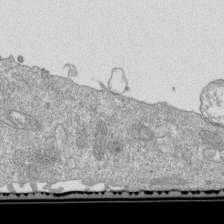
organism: Human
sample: HeLa cell HIV synapse